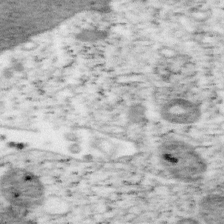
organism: Mouse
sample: OT-I killer T cells with ID8 ovarian cancer cells